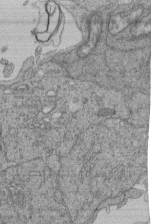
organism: Human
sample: Retinal organoid Rod and Cone cells